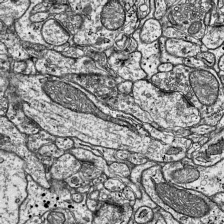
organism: Mouse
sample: Visual Cortex